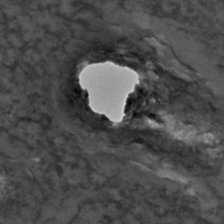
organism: C. elegans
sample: C. elegans embryo